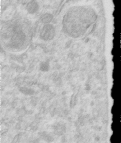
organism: Human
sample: Centriole in RPE cells